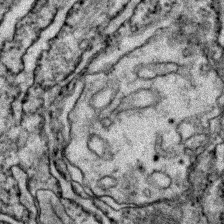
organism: Zebrafish